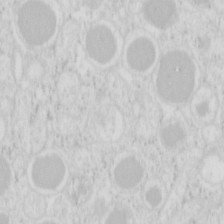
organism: Mouse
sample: Pancreas